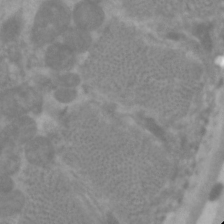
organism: C. elegans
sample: Pharynx